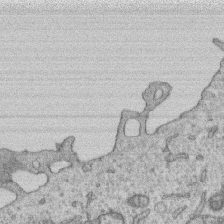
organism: Human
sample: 1205lu cells